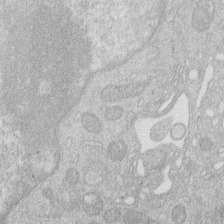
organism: Human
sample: Macrophage cells